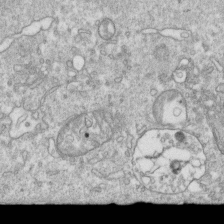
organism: Mouse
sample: Activated OT-1 CD8+ T cells